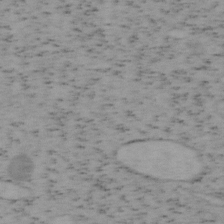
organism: Mouse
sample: OT-I killer T cells with ID8 ovarian cancer cells